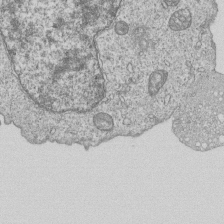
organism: Human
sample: MDA-MB-231 cells